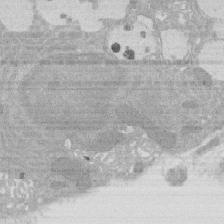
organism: Rat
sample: Salivary granule